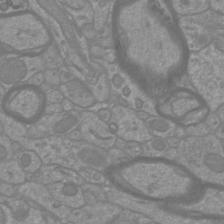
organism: Mouse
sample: Cortical neurons